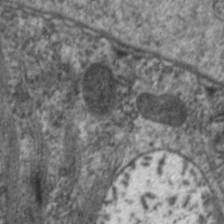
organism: C. elegans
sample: Pharynx